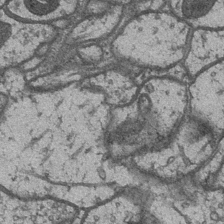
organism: Drosophila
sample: Optic medulla